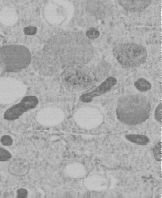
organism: C. elegans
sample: C. elegans embryo early stage